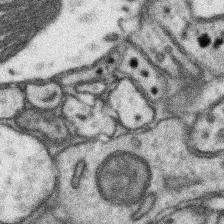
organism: Mouse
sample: Somatosensory cortex neuropil